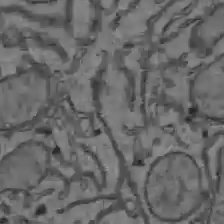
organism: C57BL Mouse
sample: Liver